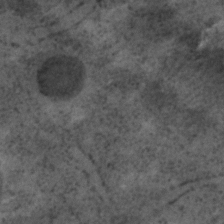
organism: C. elegans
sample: C. elegans embryo